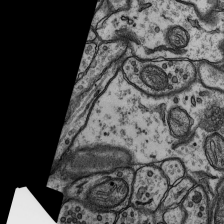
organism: Rat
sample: Hippocampus